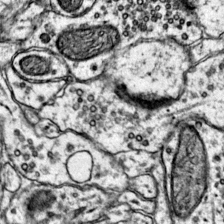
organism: Mouse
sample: Primary visual cortex